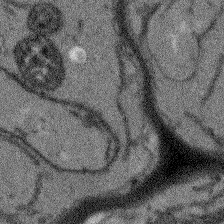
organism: Arabidopsis thaliana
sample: Root tip